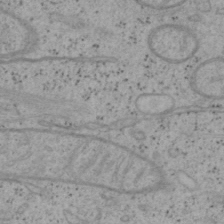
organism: Human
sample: HeLa cells